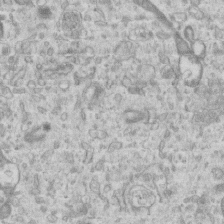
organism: Mouse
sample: Centriole in ependymal cells